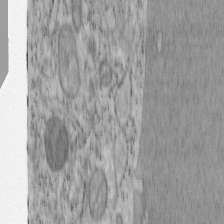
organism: Human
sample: HeLa cells